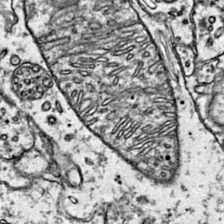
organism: Mouse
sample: Primary visual cortex